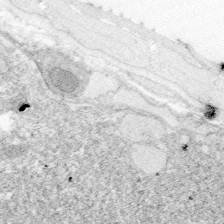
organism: Zebrafish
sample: Whole-Brain